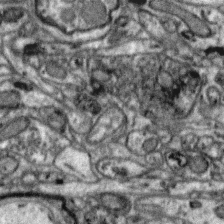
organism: Zebra finch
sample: Brain